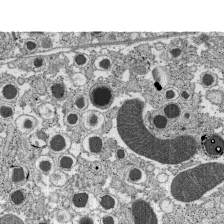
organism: C57BL Mouse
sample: Pancreatic islet